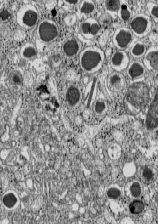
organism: C57BL Mouse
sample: Pancreatic islet